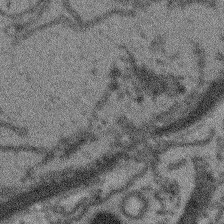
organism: Arabidopsis thaliana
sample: Root tip